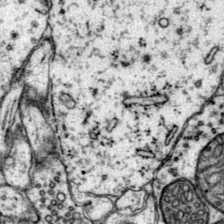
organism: Mouse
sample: Primary visual cortex